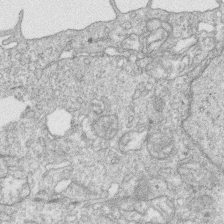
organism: Human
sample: HeLa cell HIV synapse